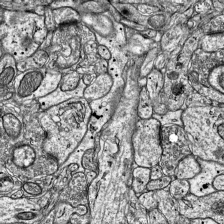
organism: Mouse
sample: Visual Cortex